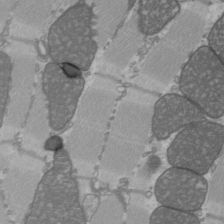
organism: C57BL Mouse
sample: Heart